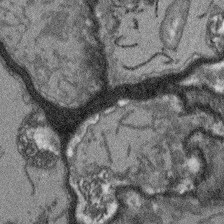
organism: Arabidopsis thaliana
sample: Root tip